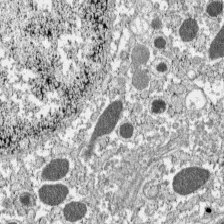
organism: C57BL Mouse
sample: Pancreatic islet